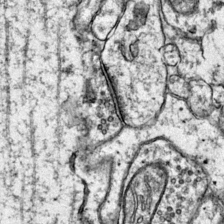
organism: Mouse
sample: Primary visual cortex